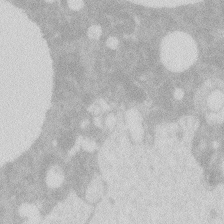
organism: Zebrafish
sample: Macrophage